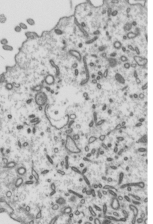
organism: Mouse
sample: Mouse epididymis efferent ductule cilia